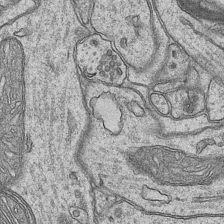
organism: Mouse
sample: CA1 Hippocampus